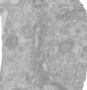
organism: Human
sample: Centriole in RPE cells